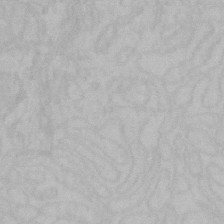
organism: Mouse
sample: Choroid plexus